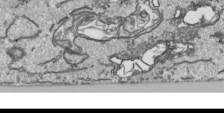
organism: Human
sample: Mitochondria in HCT116 cells